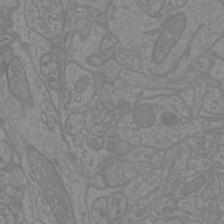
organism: Mouse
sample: Cortical neurons